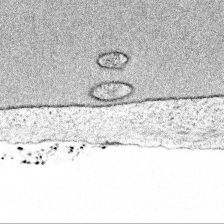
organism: Human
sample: HeLa cells